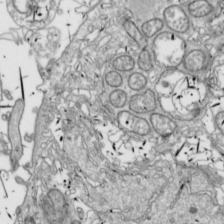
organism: Drosophila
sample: Cell division; meiosis; drosophila spermatocytes